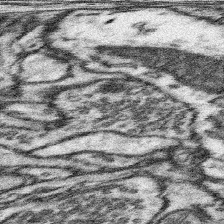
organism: Mouse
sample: Somatosensory cortex neuropil